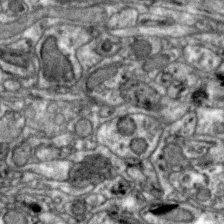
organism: Zebra finch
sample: Brain